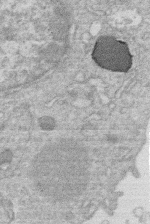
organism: Human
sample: Macrophage cells